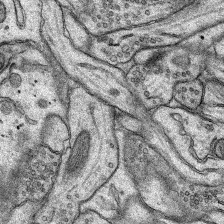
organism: Rat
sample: Hippocampus